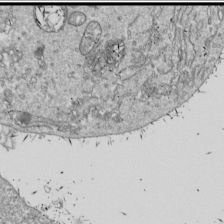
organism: Drosophila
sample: Cell division; meiosis; drosophila spermatocytes